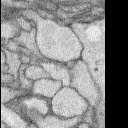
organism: Rabbit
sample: Retina